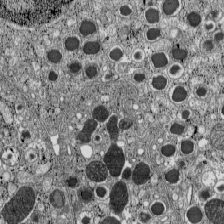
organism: C57BL Mouse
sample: Pancreatic islet